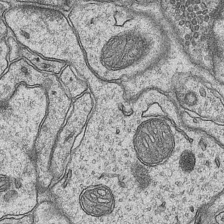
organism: Mouse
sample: CA1 Hippocampus